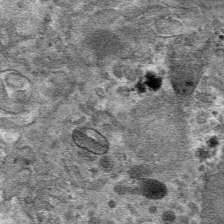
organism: Mouse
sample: Mouse hepatocytes